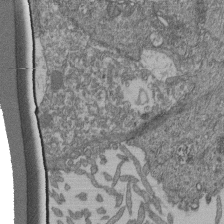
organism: Human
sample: Retinal organoid Rod and Cone cells